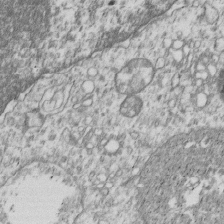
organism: Human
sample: MDA-MB-231 cells